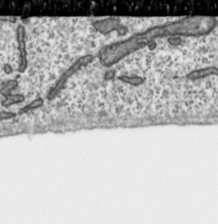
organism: Toxoplasma gondii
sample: Parasites in a vacuole inside a host cell